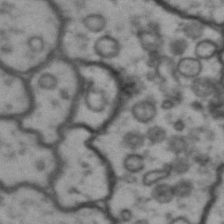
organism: Drosophila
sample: Brain